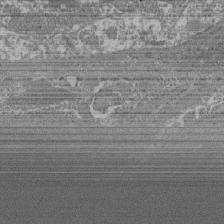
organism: Mouse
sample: Glomerulus